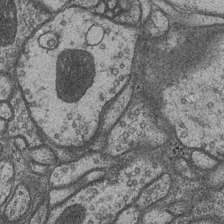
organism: Drosophila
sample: Optic medulla